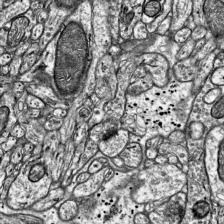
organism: Mouse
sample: Visual Cortex